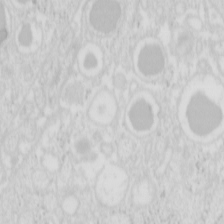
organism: Mouse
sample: Pancreas